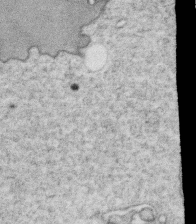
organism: C. elegans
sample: C. elegans oocyte; sperm cells